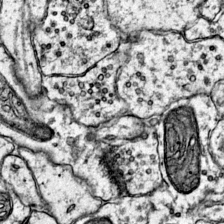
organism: Mouse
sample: Primary visual cortex